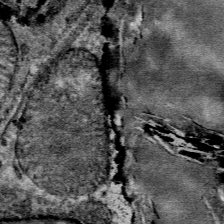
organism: Mouse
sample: Mouse Salivary gland